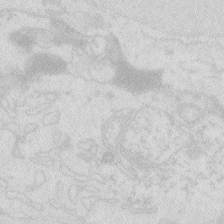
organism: Zebrafish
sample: Macrophage